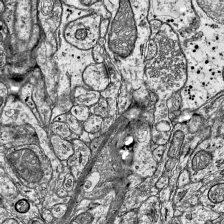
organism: Mouse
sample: Visual Cortex